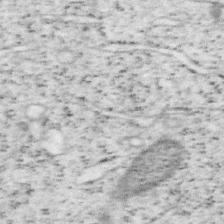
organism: Mouse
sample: OT-I killer T cells with ID8 ovarian cancer cells